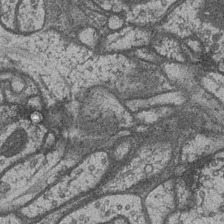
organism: Drosophila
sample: Optic medulla